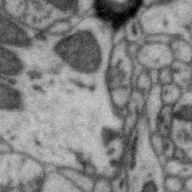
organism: Zebra finch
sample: Brain